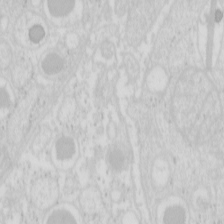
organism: Mouse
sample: Pancreas